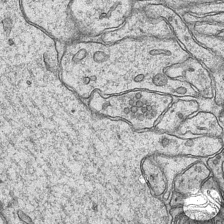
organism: Mouse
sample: CA1 Hippocampus